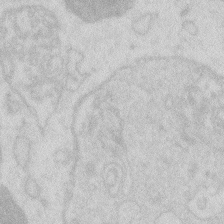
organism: Zebrafish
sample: Macrophage